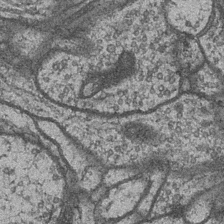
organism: Drosophila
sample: Optic medulla